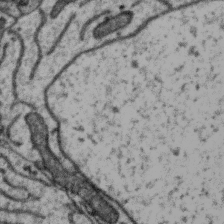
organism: Zebra finch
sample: Brain